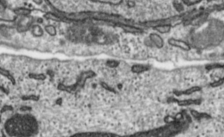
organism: Toxoplasma gondii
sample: Parasites in a vacuole inside a host cell